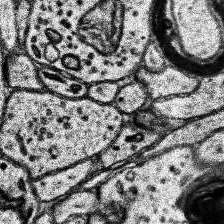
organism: Human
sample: Temporal Lobe